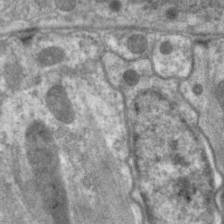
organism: C. elegans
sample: Pharynx